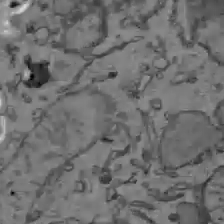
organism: C57BL Mouse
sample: Liver